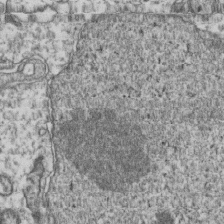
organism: Human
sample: Activated Jurkat CD4+ T cells